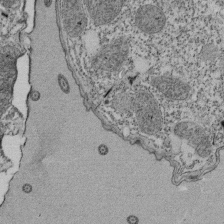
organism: Tetrahymena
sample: Cilia in tetrahymena